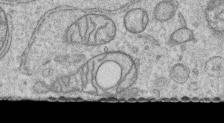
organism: Human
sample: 1205lu cells